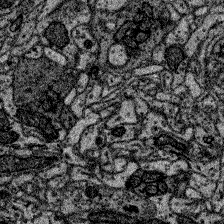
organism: Zebrafish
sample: Larval olfactory bulb